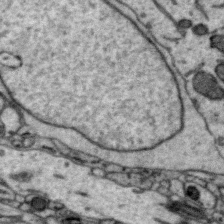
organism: Zebra finch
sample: Brain